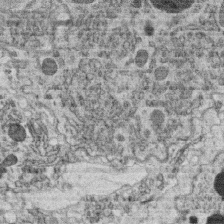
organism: C. elegans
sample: C. elegans oocyte; sperm cells